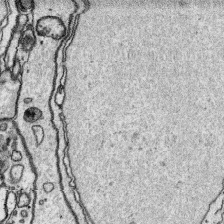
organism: Platynereis dumerilii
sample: Parapodia